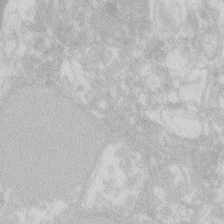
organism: Zebrafish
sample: Macrophage